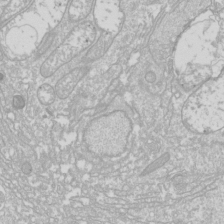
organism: Drosophila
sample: Cell division; meiosis; drosophila spermatocytes